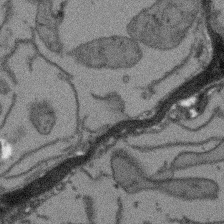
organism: Arabidopsis thaliana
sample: Root tip